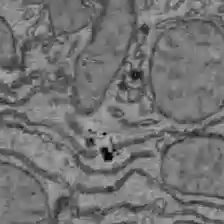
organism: C57BL Mouse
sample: Liver